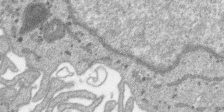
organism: Human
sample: Lung epithelial cells infected with SARS-CoV-2